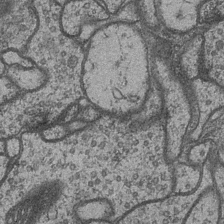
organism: Drosophila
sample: Optic medulla